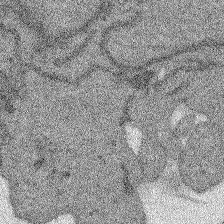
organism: Human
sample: HeLa cells